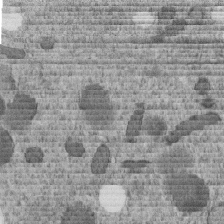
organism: C. elegans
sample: C. elegans embryo early stage